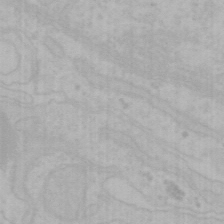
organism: Mouse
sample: Choroid plexus